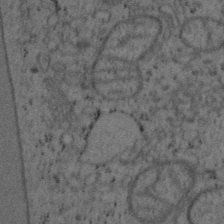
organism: Human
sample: HeLa cells